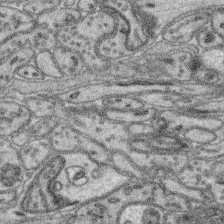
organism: Mouse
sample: Retina